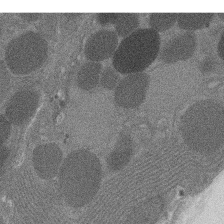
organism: Rat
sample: Salivary granule